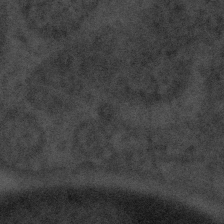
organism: Tuwongella immobilis